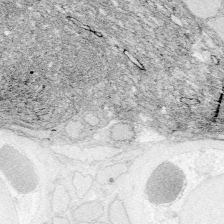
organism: Zebrafish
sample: Whole-Brain